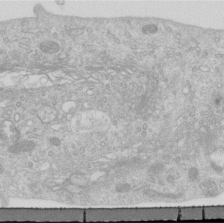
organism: Human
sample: Centriole in RPE cells